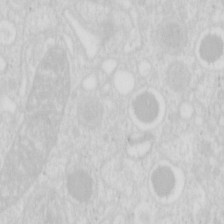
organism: Mouse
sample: Pancreas